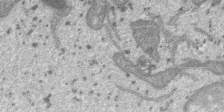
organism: Human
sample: Lung epithelial cells infected with SARS-CoV-2